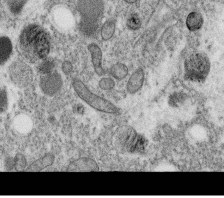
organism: C. elegans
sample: C. elegans oocyte; sperm cells